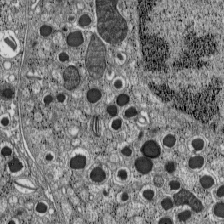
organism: C57BL Mouse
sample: Pancreatic islet